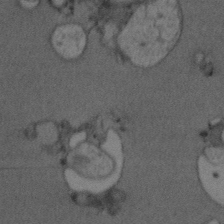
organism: Human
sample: HeLa cells